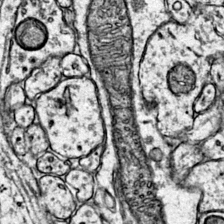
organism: Mouse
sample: Primary visual cortex